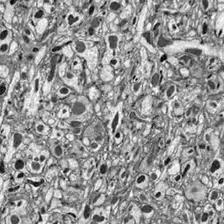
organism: Drosophila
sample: Optic lobe